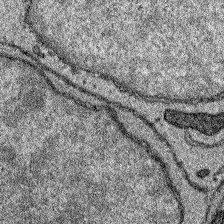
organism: Zebrafish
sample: Larval olfactory bulb